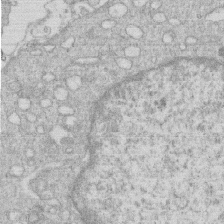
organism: Human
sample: Macrophage cells